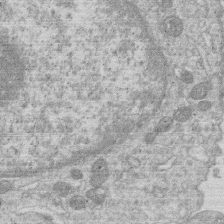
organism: Human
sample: Macrophage cells